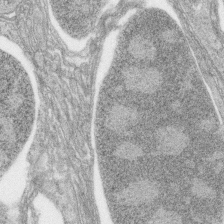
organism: Zebrafish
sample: synaptic ribbons in rod cells and cone cells